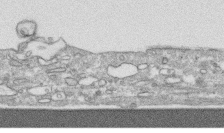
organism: Human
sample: CRL-1474